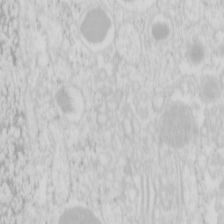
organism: Mouse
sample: Pancreas